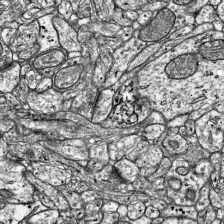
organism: Mouse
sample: Visual Cortex